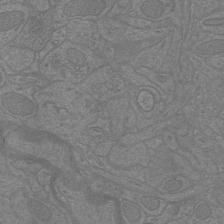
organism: Mouse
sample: Cortical neurons